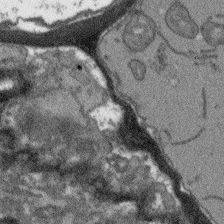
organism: Arabidopsis thaliana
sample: Root tip